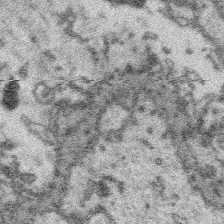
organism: Platynereis dumerilii